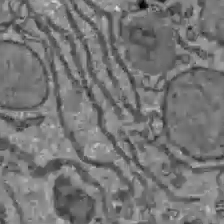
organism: C57BL Mouse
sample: Liver